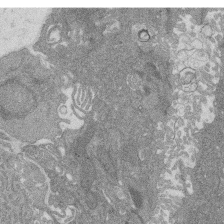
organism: Rat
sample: Salivary granule